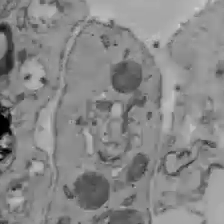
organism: C57BL Mouse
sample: Liver